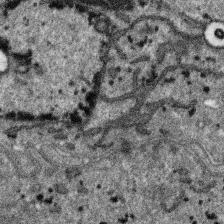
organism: Human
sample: Lung epithelial cells infected with SARS-CoV-2